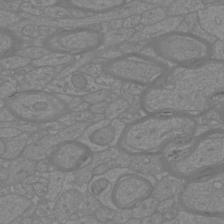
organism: Mouse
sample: Cortical neurons